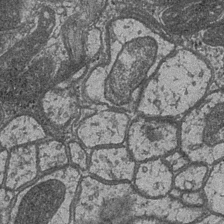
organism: Drosophila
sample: Optic medulla